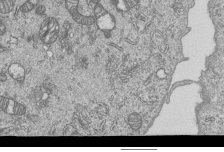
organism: Human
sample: MDA-MB-231 cells